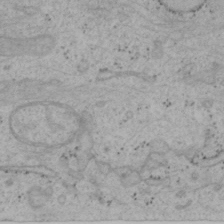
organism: Human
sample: HeLa cells